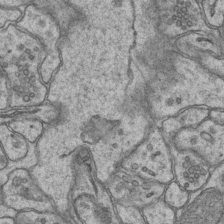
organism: Mouse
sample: CA1 Hippocampus